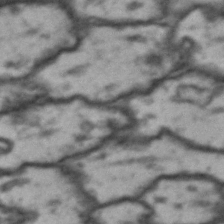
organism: Drosophila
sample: Brain